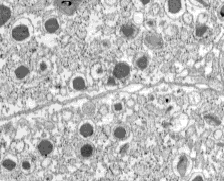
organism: C57BL Mouse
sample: Pancreatic islet